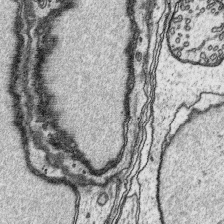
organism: Platynereis dumerilii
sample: Parapodia